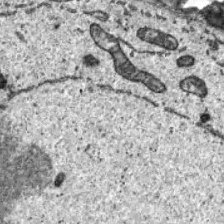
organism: Human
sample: HeLa cells